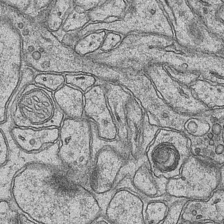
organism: Mouse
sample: CA1 Hippocampus